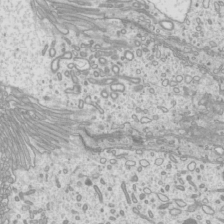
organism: Mouse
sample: Cilia; mouse epididymis